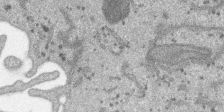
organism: Human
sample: Lung epithelial cells infected with SARS-CoV-2